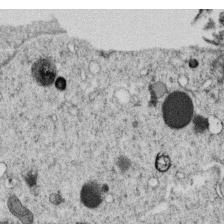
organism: C. elegans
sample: C. elegans oocyte; sperm cells